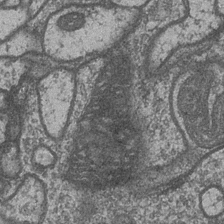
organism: Drosophila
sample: Optic medulla